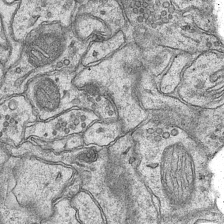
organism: Mouse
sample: CA1 Hippocampus